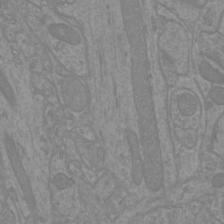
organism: Mouse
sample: Cortical neurons